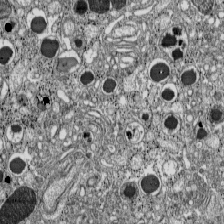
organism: C57BL Mouse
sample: Pancreatic islet